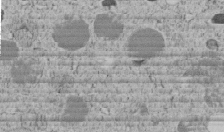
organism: C. elegans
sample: C. elegans embryo early stage